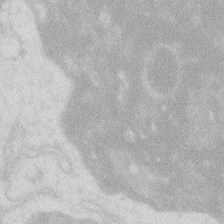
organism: Zebrafish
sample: Macrophage